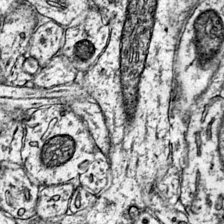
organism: Mouse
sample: Primary visual cortex